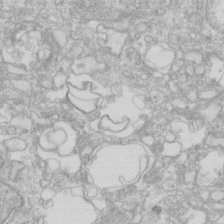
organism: Human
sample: Fibroblast cells